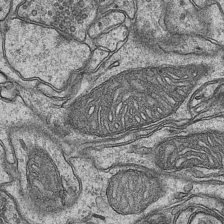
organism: Mouse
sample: CA1 Hippocampus